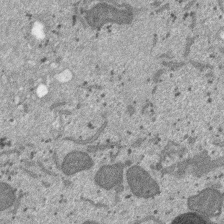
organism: Human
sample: Lung epithelial cells infected with SARS-CoV-2